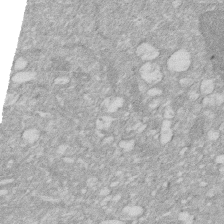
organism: Human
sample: HIV infected U937 cells